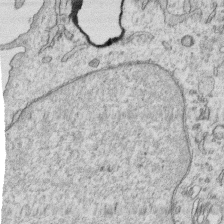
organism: Human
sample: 1205lu cells